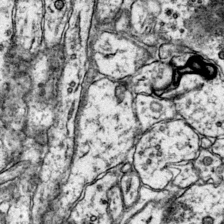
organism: Mouse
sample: Primary visual cortex